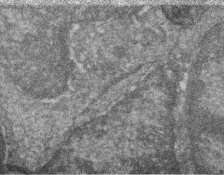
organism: Zebrafish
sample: Cilia; retinal pigment epithelium